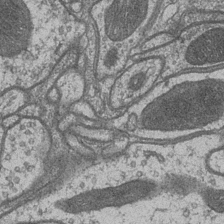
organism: Drosophila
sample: Optic medulla